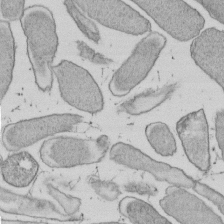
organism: E. coli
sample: Bacterial nucleoid